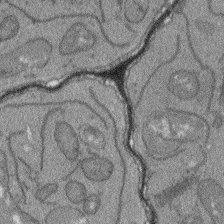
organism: Arabidopsis thaliana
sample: Root tip